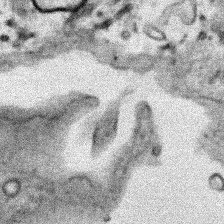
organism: Human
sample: Mitochondria in HCT116 cells